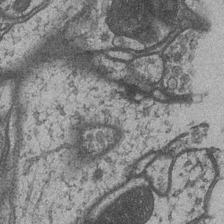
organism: Drosophila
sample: Optic medulla